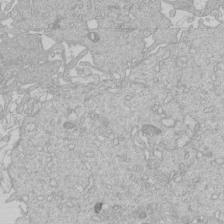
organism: Human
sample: Macrophage cells